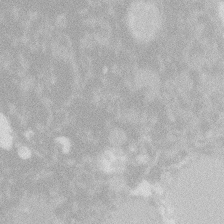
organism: Zebrafish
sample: Macrophage